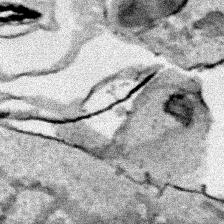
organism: Human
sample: Mitochondria in HCT116 cells